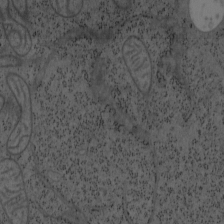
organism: Mouse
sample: OT-I killer T cells with ID8 ovarian cancer cells